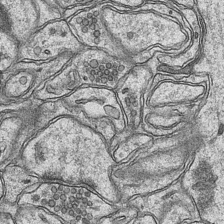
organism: Mouse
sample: CA1 Hippocampus